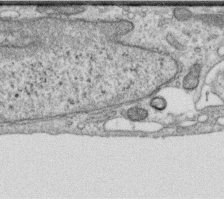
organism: Human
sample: Centriole in RPE cells